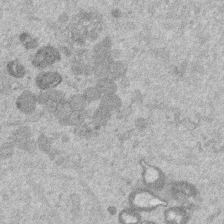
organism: Mouse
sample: Dividing mouse embryo 1 cell stage